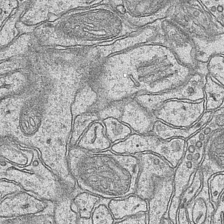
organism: Mouse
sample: CA1 Hippocampus